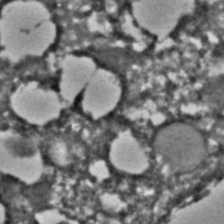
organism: C. elegans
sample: C. elegans embryo